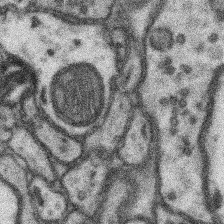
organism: Mouse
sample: Somatosensory cortex neuropil